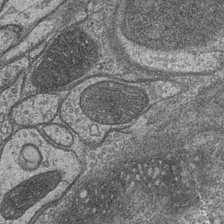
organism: Drosophila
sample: Optic medulla